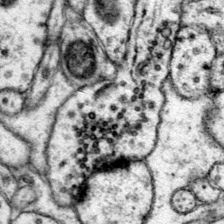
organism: Mouse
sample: Primary visual cortex